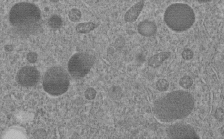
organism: C. elegans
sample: C. elegans embryo early stage